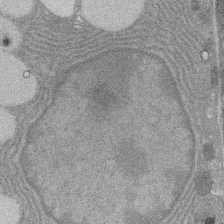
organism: Rat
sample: Salivary granule